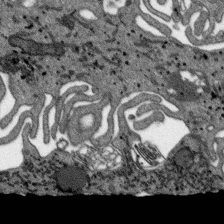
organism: Human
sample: Lung epithelial cells, uninfected (mock) control